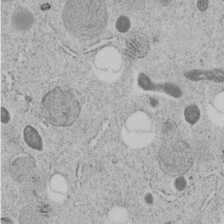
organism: C. elegans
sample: C. elegans embryo early stage